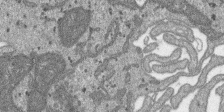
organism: Human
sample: Lung epithelial cells infected with SARS-CoV-2